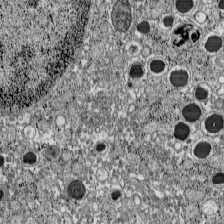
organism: C57BL Mouse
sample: Pancreatic islet